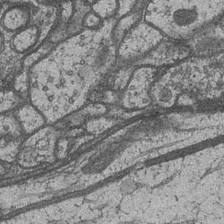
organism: Drosophila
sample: Optic medulla